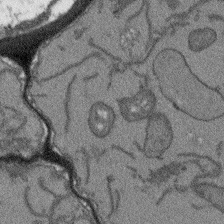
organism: Arabidopsis thaliana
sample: Root tip